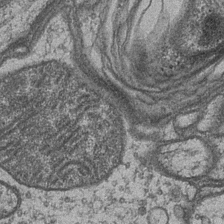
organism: Drosophila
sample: Optic medulla